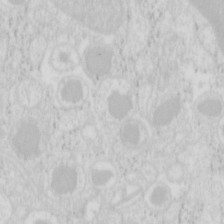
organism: Mouse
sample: Pancreas